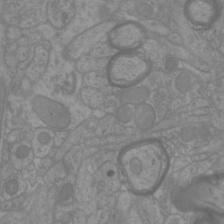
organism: Mouse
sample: Cortical neurons